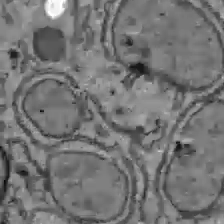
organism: C57BL Mouse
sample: Liver